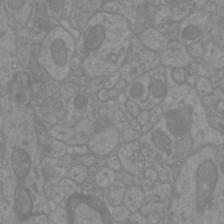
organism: Mouse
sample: Cortical neurons